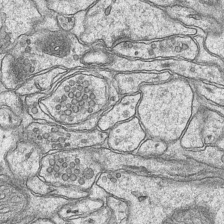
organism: Mouse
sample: CA1 Hippocampus